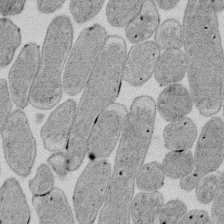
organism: E. coli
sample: Bacterial nucleoid